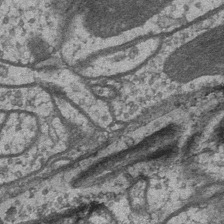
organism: Drosophila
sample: Optic medulla